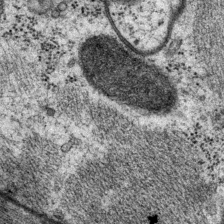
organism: P. pacificus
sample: Pharynx